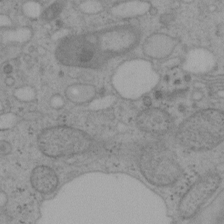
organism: Mouse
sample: OT-I killer T cells with ID8 ovarian cancer cells